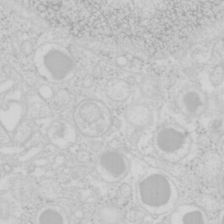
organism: Mouse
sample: Pancreas